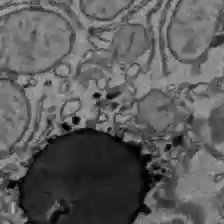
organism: C57BL Mouse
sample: Liver